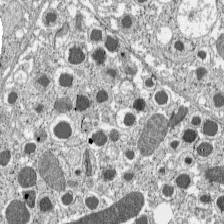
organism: C57BL Mouse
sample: Pancreatic islet